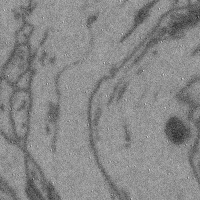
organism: Mouse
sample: Cerebral cortex